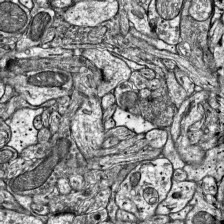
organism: Mouse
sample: Visual Cortex